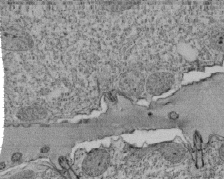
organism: Tetrahymena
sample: Cilia in tetrahymena